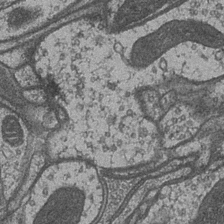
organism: Drosophila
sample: Optic medulla